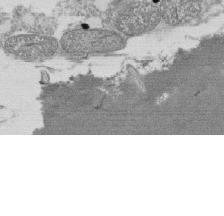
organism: Tetrahymena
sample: Cilia in tetrahymena